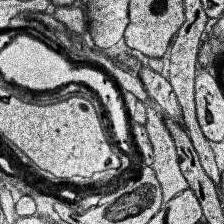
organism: Human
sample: Temporal Lobe